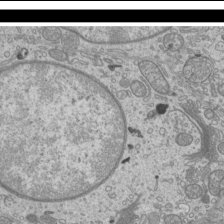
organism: Mouse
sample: Cilia; mouse epididymis